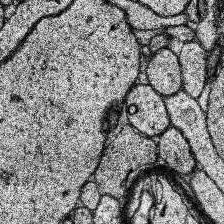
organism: Human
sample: Temporal Lobe